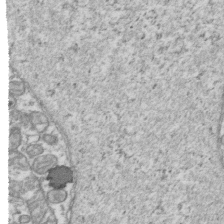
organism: Human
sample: Activated Jurkat CD4+ T cells